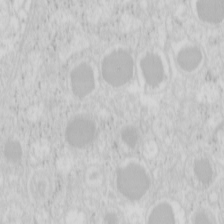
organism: Mouse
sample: Pancreas